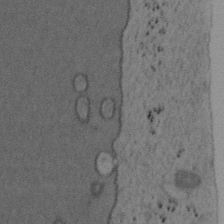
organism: Human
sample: HeLa cells